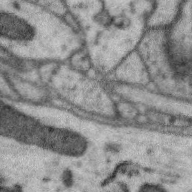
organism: Zebra finch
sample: Brain